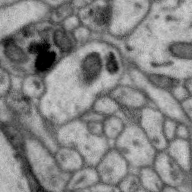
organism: Zebra finch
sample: Brain